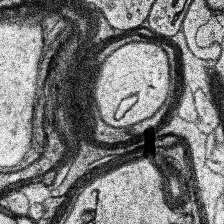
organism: Human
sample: Temporal Lobe